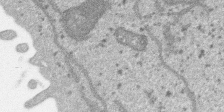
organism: Human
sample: Lung epithelial cells infected with SARS-CoV-2